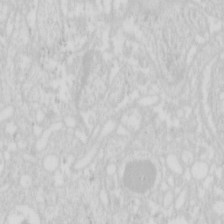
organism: Mouse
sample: Pancreas